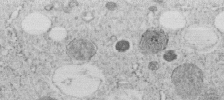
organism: C. elegans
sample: C. elegans embryo early stage